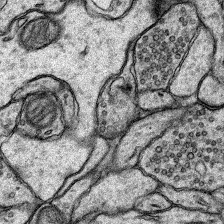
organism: Rat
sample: Hippocampus